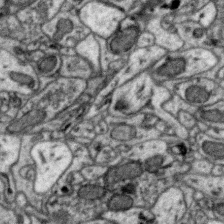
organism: Zebra finch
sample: Brain